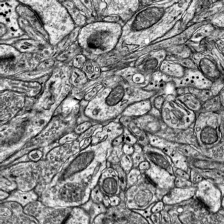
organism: Mouse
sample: Visual Cortex